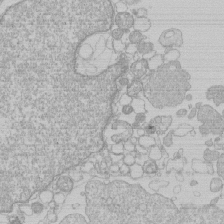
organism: Human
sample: Macrophage cells